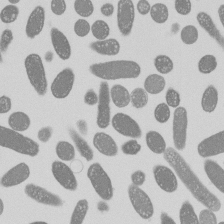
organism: E. coli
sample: Bacterial nucleoid